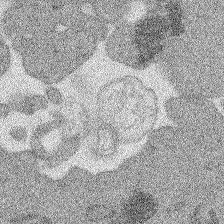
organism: Human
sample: HeLa cells